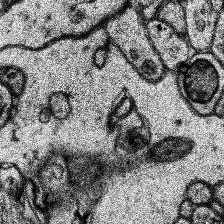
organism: Human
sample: Temporal Lobe